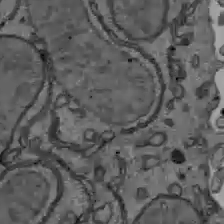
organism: C57BL Mouse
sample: Liver